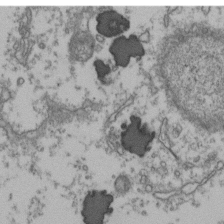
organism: Human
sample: Activated Jurkat CD4+ T cells